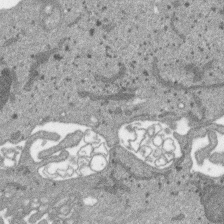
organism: Human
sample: Lung epithelial cells infected with SARS-CoV-2